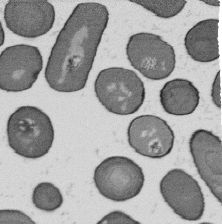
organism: B. subtilis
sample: Bacterial spore